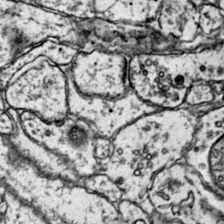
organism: Mouse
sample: Primary visual cortex